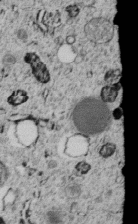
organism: C. elegans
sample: C. elegans embryo early stage